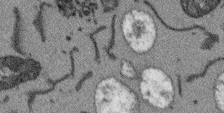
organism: Arabidopsis thaliana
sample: Root tip